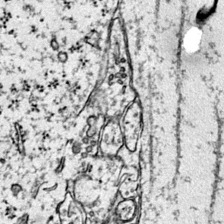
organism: Mouse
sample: Primary visual cortex